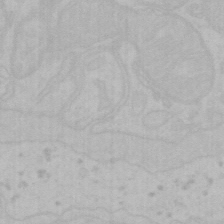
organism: Mouse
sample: Choroid plexus